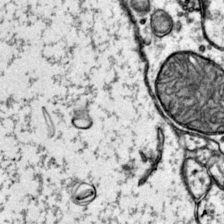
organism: Mouse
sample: Primary visual cortex